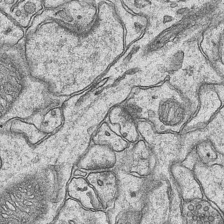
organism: Mouse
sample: CA1 Hippocampus